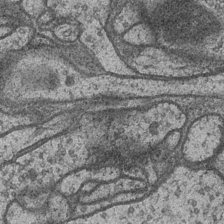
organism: Drosophila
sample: Optic medulla